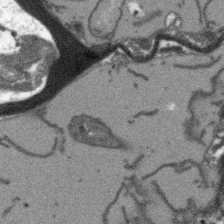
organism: Arabidopsis thaliana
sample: Root tip